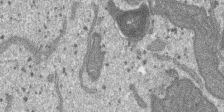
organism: Human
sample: Lung epithelial cells infected with SARS-CoV-2